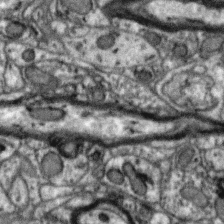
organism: Zebra finch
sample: Brain